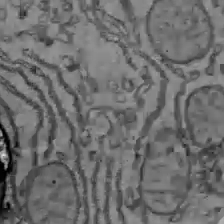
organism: C57BL Mouse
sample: Liver